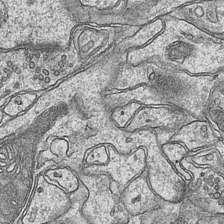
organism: Mouse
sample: CA1 Hippocampus